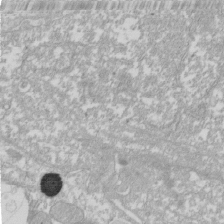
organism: Xenopus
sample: Cilia; centrioles in frog embryo cells